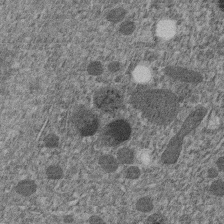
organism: C. elegans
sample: C. elegans embryo early stage